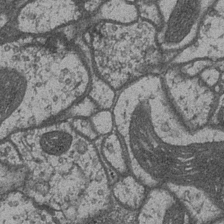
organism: Drosophila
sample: Optic medulla